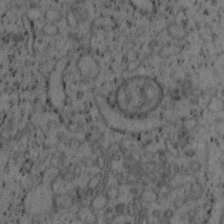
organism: Human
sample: HeLa cells